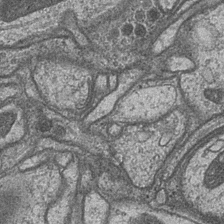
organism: Drosophila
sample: Optic medulla